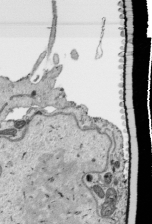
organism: Human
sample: Mitochondria in HCT116 cells